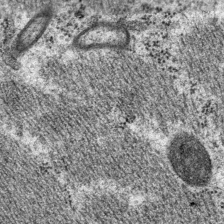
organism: P. pacificus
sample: Pharynx